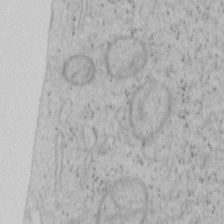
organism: Human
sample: HeLa cells